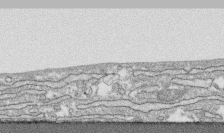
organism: Human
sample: CRL-1474